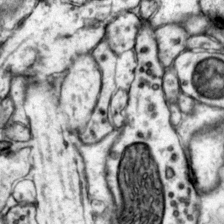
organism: Mouse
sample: Primary visual cortex